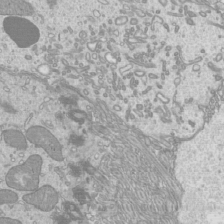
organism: Mouse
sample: Cilia; mouse epididymis